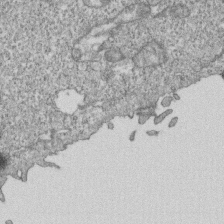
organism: Human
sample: HeLa cell HIV synapse